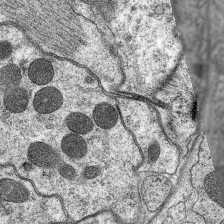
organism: C. elegans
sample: Pharynx